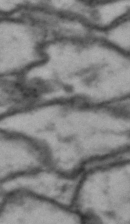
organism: Drosophila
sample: Brain